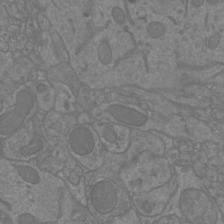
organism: Mouse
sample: Cortical neurons